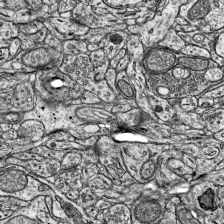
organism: Mouse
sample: Visual Cortex